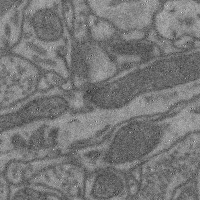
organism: Mouse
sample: Cerebral cortex